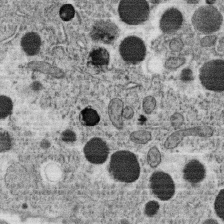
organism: C. elegans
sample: C. elegans oocyte; sperm cells